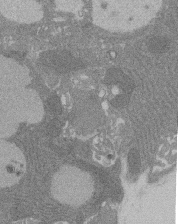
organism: Rat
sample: Salivary granule